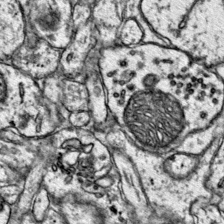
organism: Mouse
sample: Primary visual cortex